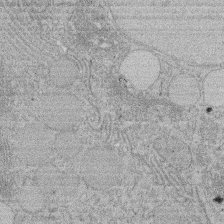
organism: Rat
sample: Salivary granule